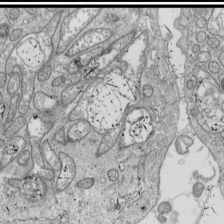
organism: Drosophila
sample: Cell division; meiosis; drosophila spermatocytes